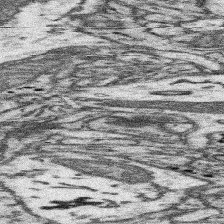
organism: Mouse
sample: Somatosensory cortex neuropil